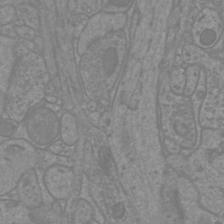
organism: Mouse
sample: Cortical neurons